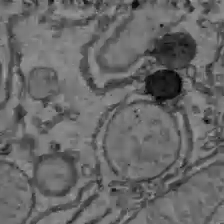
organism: C57BL Mouse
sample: Liver